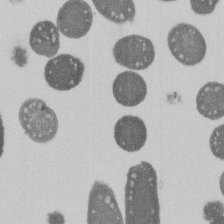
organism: E. coli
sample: Bacterial nucleoid